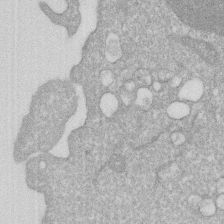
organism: Human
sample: HIV infected U937 cells